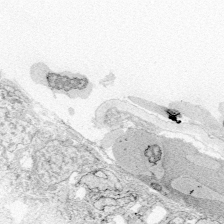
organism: Zebrafish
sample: Whole-Brain